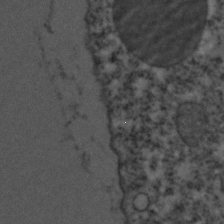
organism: C. elegans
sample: C. elegans embryo